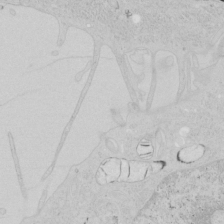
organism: Human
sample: Mitochondria in HCT116 cells